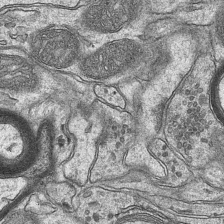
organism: Mouse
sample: CA1 Hippocampus